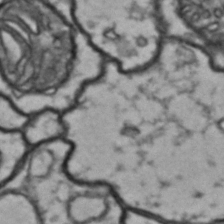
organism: Drosophila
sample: Brain